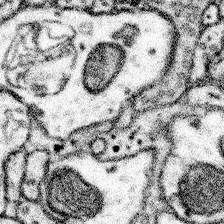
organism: Mouse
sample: Somatosensory cortex neuropil